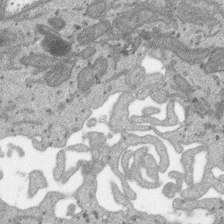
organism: Human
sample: Lung epithelial cells infected with SARS-CoV-2